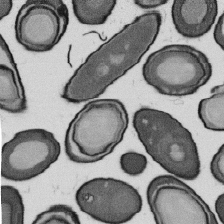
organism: B. subtilis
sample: Bacterial spore